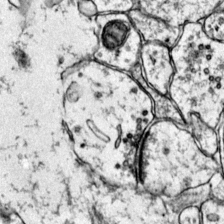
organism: Mouse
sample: Primary visual cortex